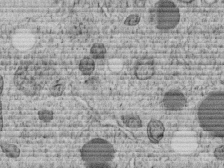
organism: C. elegans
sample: C. elegans embryo early stage